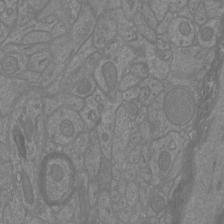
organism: Mouse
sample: Cortical neurons